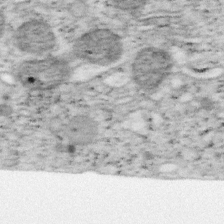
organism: Mouse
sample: OT-I killer T cells with ID8 ovarian cancer cells